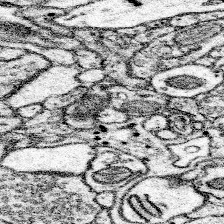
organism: Mouse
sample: Somatosensory cortex neuropil